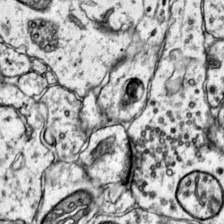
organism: Mouse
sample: Primary visual cortex